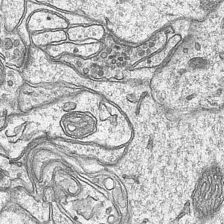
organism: Mouse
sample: CA1 Hippocampus